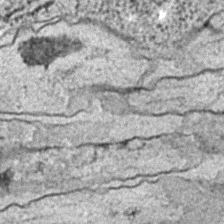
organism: C. elegans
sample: C. elegans embryo